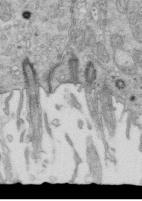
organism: Mouse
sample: Multiciliated cells